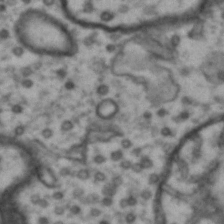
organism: Drosophila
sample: Brain